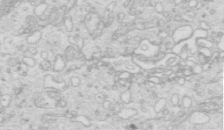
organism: Mouse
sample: Multiciliated cells